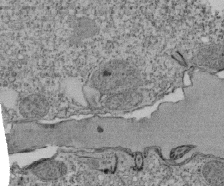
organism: Tetrahymena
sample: Cilia in tetrahymena